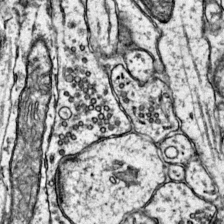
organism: Mouse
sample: Primary visual cortex